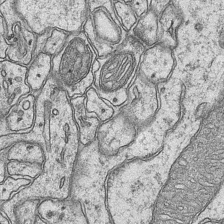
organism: Mouse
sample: CA1 Hippocampus